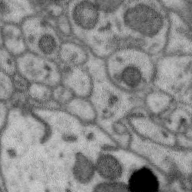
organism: Zebra finch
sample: Brain